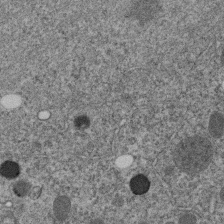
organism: C. elegans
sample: C. elegans embryo early stage